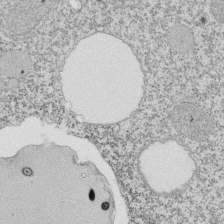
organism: Tetrahymena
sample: Cilia in tetrahymena